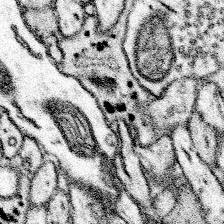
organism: Mouse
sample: Somatosensory cortex neuropil